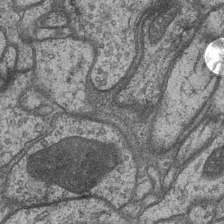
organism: Drosophila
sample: Optic medulla